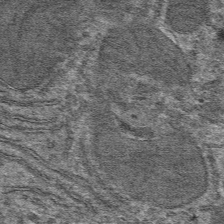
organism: Mouse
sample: Mouse hepatocytes